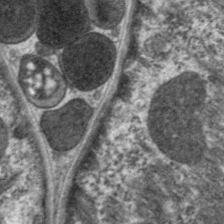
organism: C. elegans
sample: Pharynx